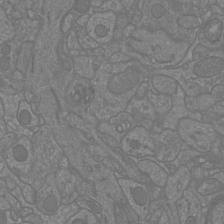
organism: Mouse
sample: Cortical neurons